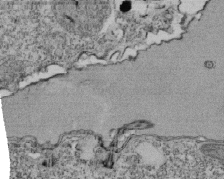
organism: Tetrahymena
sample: Cilia in tetrahymena